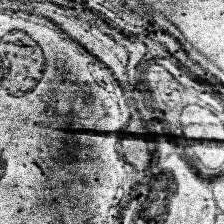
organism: Human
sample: Temporal Lobe